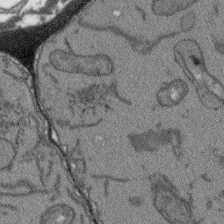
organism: Arabidopsis thaliana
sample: Root tip